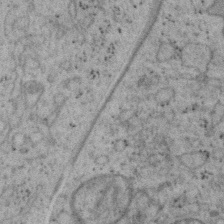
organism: Human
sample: HeLa cells